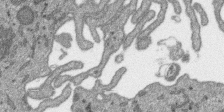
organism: Human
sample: Lung epithelial cells infected with SARS-CoV-2